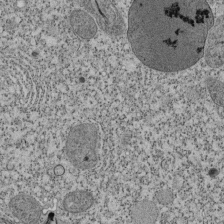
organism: Tetrahymena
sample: Cilia in tetrahymena